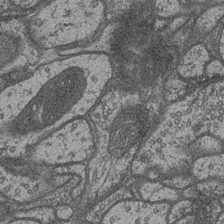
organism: Drosophila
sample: Optic medulla